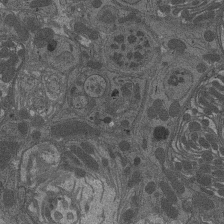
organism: Drosophila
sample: Antenna